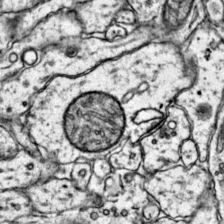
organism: Mouse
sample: Primary visual cortex